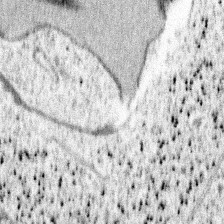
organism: Human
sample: HeLa cells